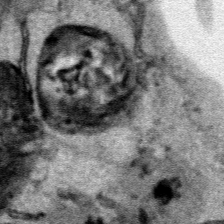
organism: Human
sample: Mitochondria in HCT116 cells